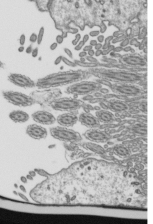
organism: Mouse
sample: Mouse epididymis efferent ductule cilia